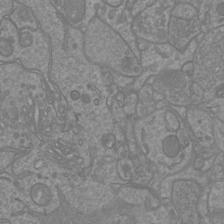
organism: Mouse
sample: Cortical neurons